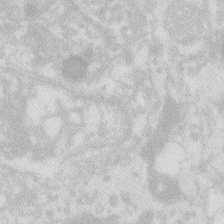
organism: Zebrafish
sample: Macrophage